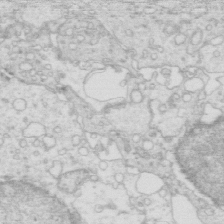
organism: Mouse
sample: Multiciliated cells